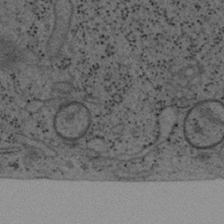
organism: Human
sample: HeLa cells